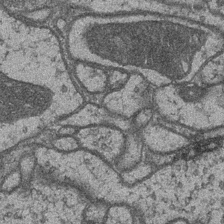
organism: Drosophila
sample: Optic medulla